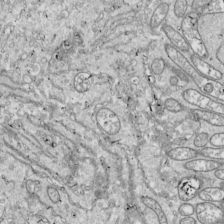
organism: Drosophila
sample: Cell division; meiosis; drosophila spermatocytes